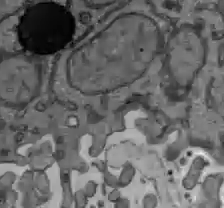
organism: C57BL Mouse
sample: Liver